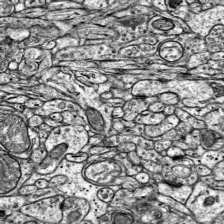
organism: Mouse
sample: Visual Cortex